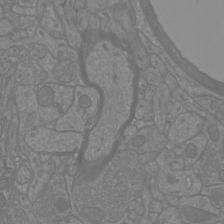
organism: Mouse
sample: Cortical neurons